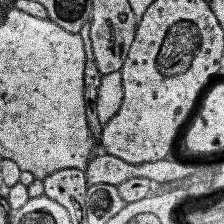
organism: Human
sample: Temporal Lobe